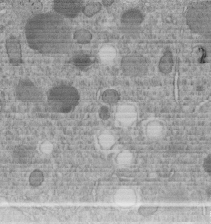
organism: C. elegans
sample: C. elegans embryo early stage